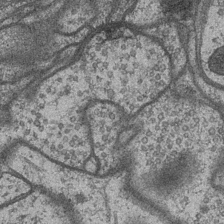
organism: Drosophila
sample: Optic medulla